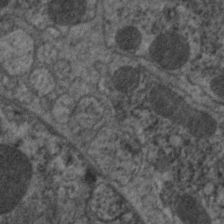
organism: C. elegans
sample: Pharynx